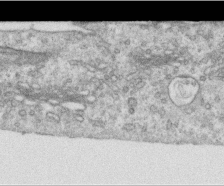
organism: Human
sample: Centriole in RPE cells